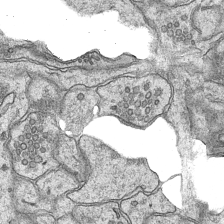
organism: Mouse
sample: CA1 Hippocampus